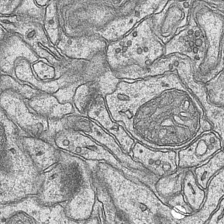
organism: Mouse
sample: CA1 Hippocampus